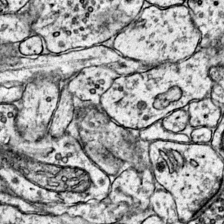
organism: Mouse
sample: Primary visual cortex